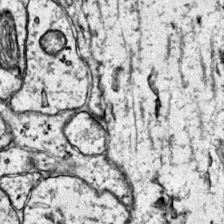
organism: Mouse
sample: Primary visual cortex